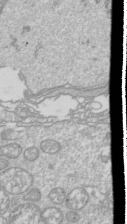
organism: Drosophila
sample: Cell division; meiosis; drosophila spermatocytes